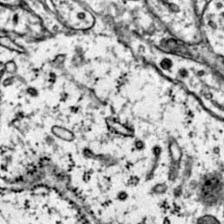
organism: Mouse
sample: Primary visual cortex